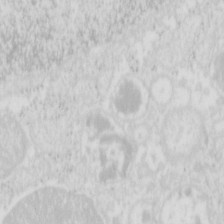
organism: Mouse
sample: Pancreas